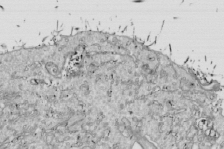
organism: Drosophila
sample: Cell division; meiosis; drosophila spermatocytes